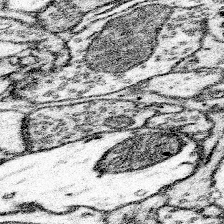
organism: Mouse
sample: Somatosensory cortex neuropil